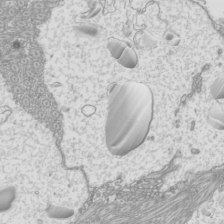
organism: Mouse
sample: Cilia; mouse epididymis